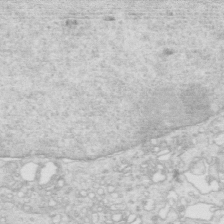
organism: Mouse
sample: Multiciliated cells